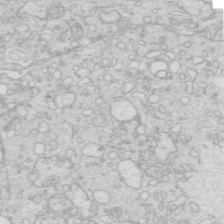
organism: Mouse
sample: Multiciliated cells